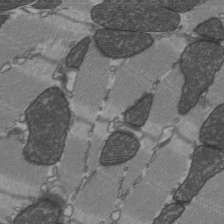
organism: C57BL Mouse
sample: Heart